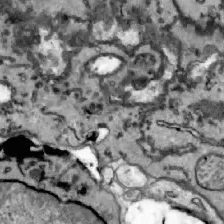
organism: Zebrafish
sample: Actinotrichia fibers